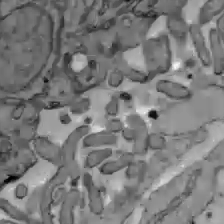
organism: C57BL Mouse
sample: Liver